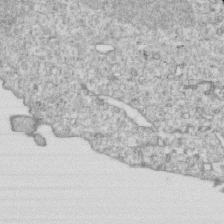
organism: Mouse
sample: Activated OT-1 CD8+ T cells